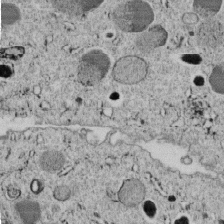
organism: C. elegans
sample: C. elegans embryo early stage